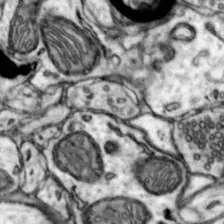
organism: Mouse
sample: Nucleus accumbens